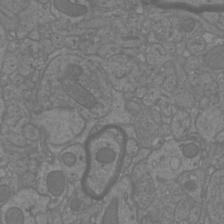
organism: Mouse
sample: Cortical neurons